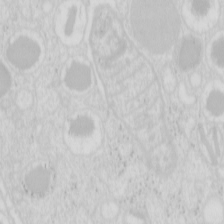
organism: Mouse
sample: Pancreas